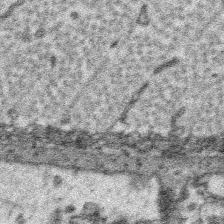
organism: Platynereis dumerilii